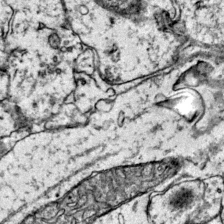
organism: Mouse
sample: Primary visual cortex